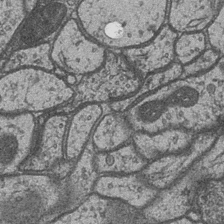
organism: Drosophila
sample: Optic medulla